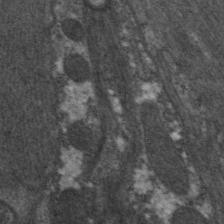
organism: C. elegans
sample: Pharynx